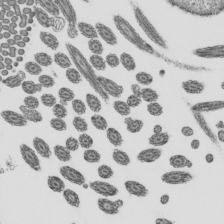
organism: Mouse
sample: Mouse epididymis efferent ductule cilia